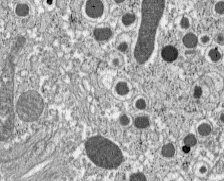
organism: C57BL Mouse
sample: Pancreatic islet